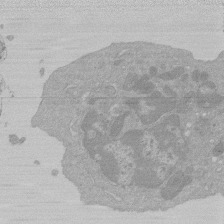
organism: Mouse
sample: Activated Pmel transgenic CD8+ T Cells